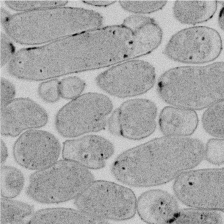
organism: E. coli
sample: Bacterial nucleoid